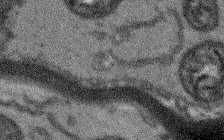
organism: Arabidopsis thaliana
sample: Root tip